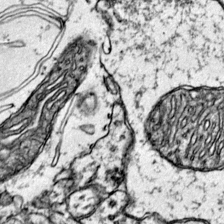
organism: Mouse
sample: Primary visual cortex